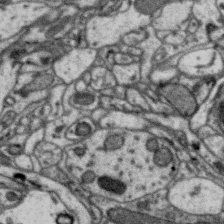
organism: Zebra finch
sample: Brain